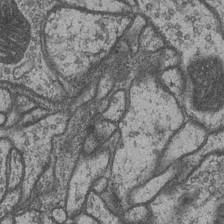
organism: Drosophila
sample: Optic medulla